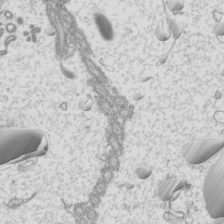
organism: Mouse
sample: Cilia; mouse epididymis